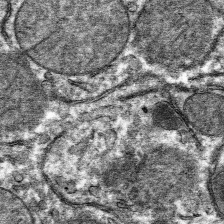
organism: Mouse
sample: Mouse hepatocytes